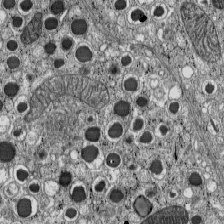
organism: C57BL Mouse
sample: Pancreatic islet